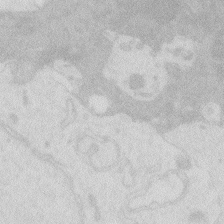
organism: Zebrafish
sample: Macrophage